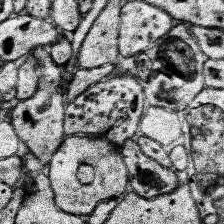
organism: Human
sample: Temporal Lobe